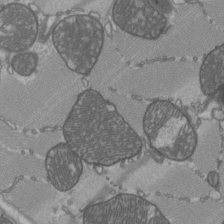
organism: C57BL Mouse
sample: Heart